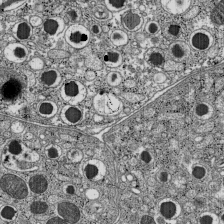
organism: C57BL Mouse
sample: Pancreatic islet